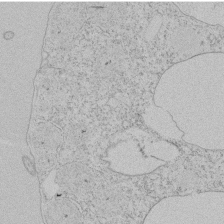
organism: Tetrahymena